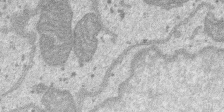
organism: Human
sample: Lung epithelial cells infected with SARS-CoV-2